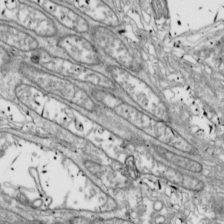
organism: Drosophila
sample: Cell division; meiosis; drosophila spermatocytes